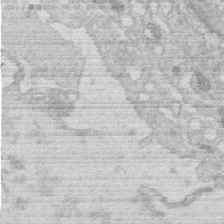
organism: Human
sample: Macrophage cells